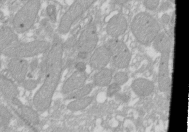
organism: Xenopus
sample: Cilia; centrioles in frog embryo cells